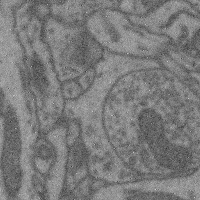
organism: Mouse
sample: Cerebral cortex